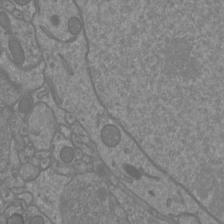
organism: Mouse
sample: Cortical neurons